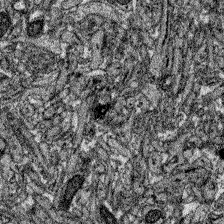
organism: Zebrafish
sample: Larval olfactory bulb